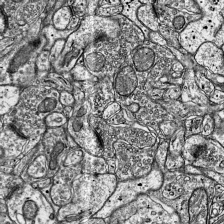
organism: Mouse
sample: Visual Cortex